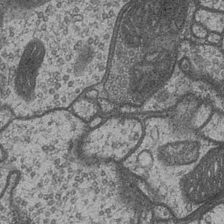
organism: Drosophila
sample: Optic medulla